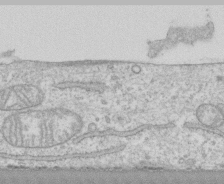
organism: Human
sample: CRL-1474